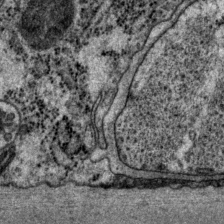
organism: P. pacificus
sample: Pharynx